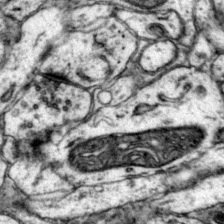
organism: Mouse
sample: Primary visual cortex